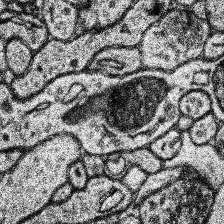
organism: Human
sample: Temporal Lobe